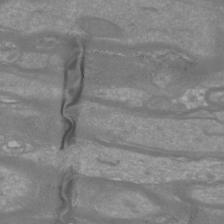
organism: Mouse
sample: Cortical neurons